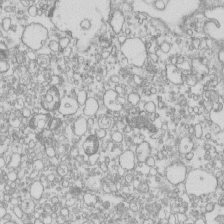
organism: Mouse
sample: Macrophages